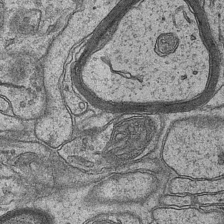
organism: Mouse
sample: CA1 Hippocampus